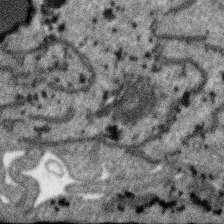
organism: Human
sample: Lung epithelial cells infected with SARS-CoV-2